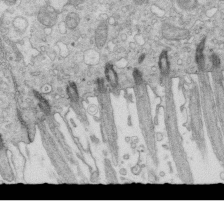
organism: Mouse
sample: Multiciliated cells